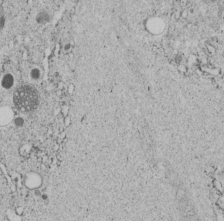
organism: C. elegans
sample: C. elegans embryo early stage